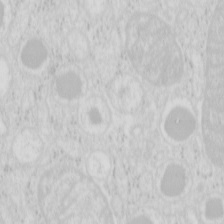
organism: Mouse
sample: Pancreas